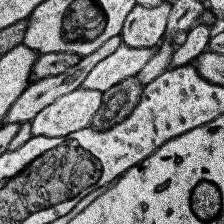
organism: Human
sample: Temporal Lobe